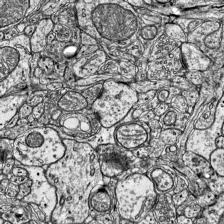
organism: Mouse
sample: Visual Cortex